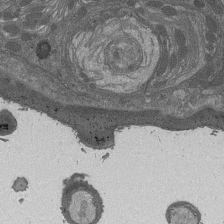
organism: Drosophila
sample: Antenna